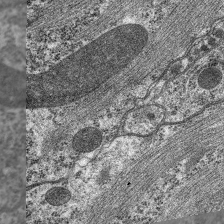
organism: C. elegans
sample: Pharynx